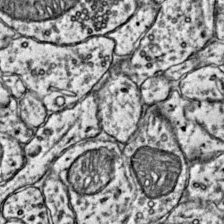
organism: Mouse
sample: Primary visual cortex